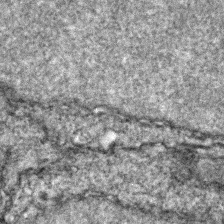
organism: Zebrafish